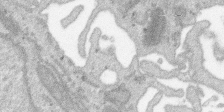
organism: Human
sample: Lung epithelial cells infected with SARS-CoV-2